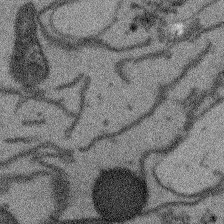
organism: Arabidopsis thaliana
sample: Root tip